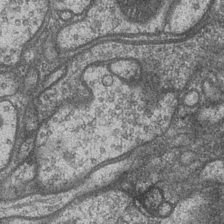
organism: Drosophila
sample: Optic medulla